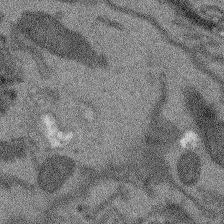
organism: Arabidopsis thaliana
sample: Root tip